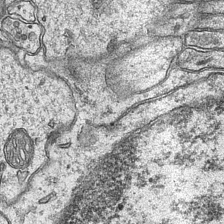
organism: Mouse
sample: CA1 Hippocampus